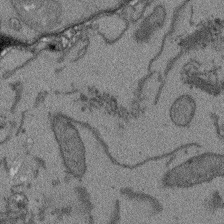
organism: Arabidopsis thaliana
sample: Root tip